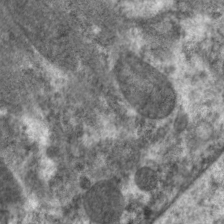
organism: C. elegans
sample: Pharynx